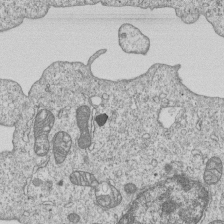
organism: Human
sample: MDA-MB-231 cells